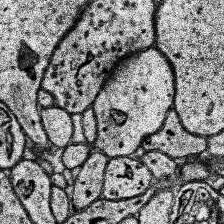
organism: Human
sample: Temporal Lobe